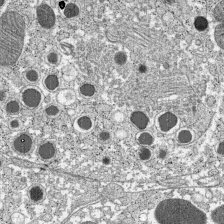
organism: C57BL Mouse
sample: Pancreatic islet